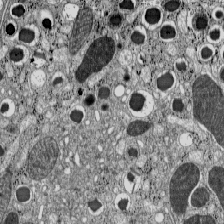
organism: C57BL Mouse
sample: Pancreatic islet